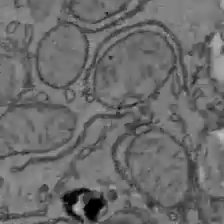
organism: C57BL Mouse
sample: Liver